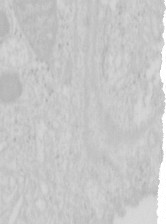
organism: Mouse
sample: Pancreas